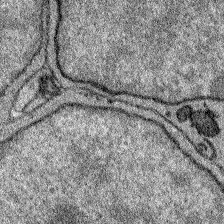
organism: Zebrafish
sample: Larval olfactory bulb